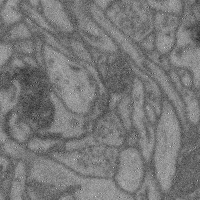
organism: Mouse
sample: Cerebral cortex